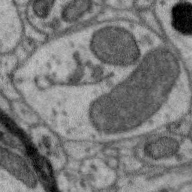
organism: Zebra finch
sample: Brain